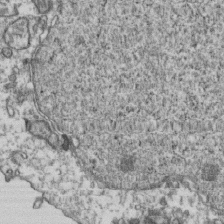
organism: Human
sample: Activated Jurkat CD4+ T cells